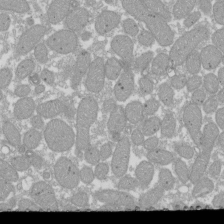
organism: Xenopus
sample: Cilia; centrioles in frog embryo cells